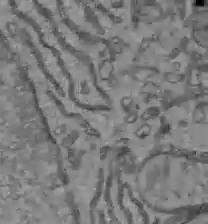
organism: C57BL Mouse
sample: Liver